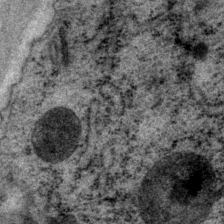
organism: P. pacificus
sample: Pharynx